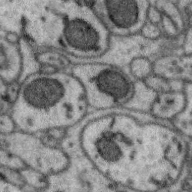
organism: Zebra finch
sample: Brain